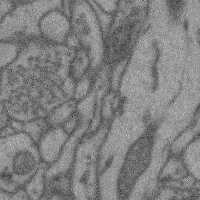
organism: Mouse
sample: Cerebral cortex